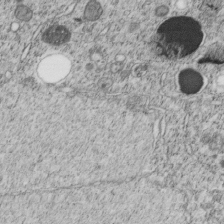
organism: C. elegans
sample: C. elegans embryo early stage